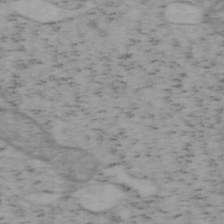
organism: Mouse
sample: OT-I killer T cells with ID8 ovarian cancer cells